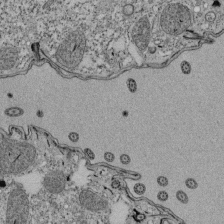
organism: Tetrahymena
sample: Cilia in tetrahymena